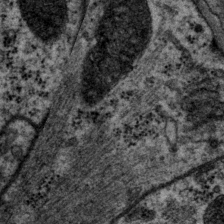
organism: P. pacificus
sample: Pharynx